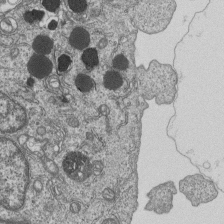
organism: Human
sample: MDA-MB-231 cells